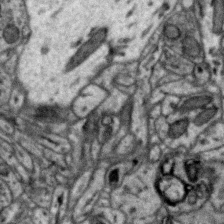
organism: Zebra finch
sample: Brain